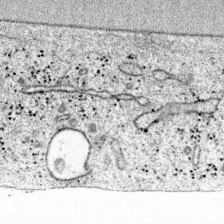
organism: Human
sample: HeLa cells